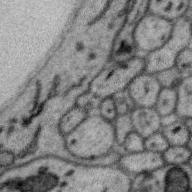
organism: Zebra finch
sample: Brain